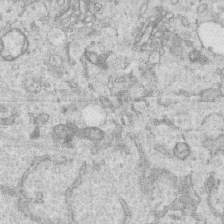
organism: Human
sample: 1205lu cells